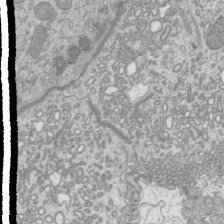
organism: Mouse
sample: Cilia; mouse epididymis